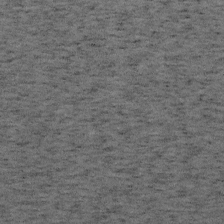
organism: Mouse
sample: OT-I killer T cells with ID8 ovarian cancer cells